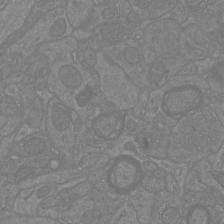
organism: Mouse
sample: Cortical neurons